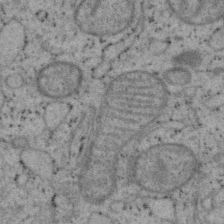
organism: Human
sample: HeLa cells